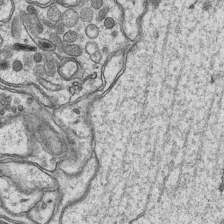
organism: Mouse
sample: CA1 Hippocampus